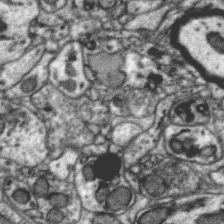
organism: Zebra finch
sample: Brain